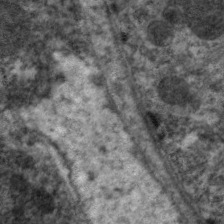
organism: C. elegans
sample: Pharynx